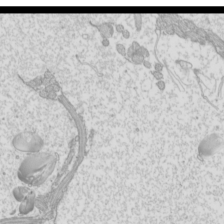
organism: Mouse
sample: Cilia; mouse epididymis